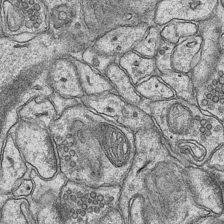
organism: Mouse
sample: CA1 Hippocampus